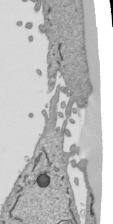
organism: Human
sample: Mitochondria in HCT116 cells